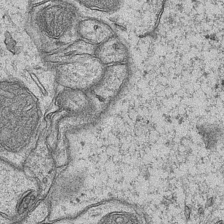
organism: Mouse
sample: CA1 Hippocampus